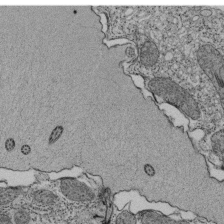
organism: Tetrahymena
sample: Cilia in tetrahymena